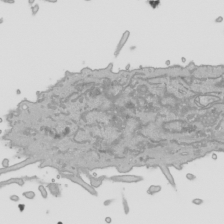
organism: Human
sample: Mitochondria in HCT116 cells